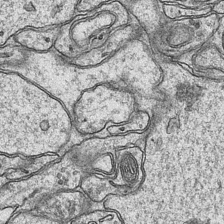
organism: Mouse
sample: CA1 Hippocampus